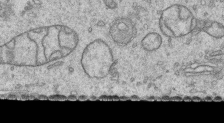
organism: Human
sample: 1205lu cells